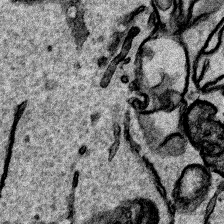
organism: Human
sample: Mitochondria in HCT116 cells